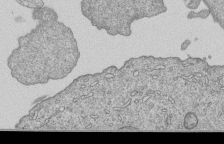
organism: Human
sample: MDA-MB-231 cells